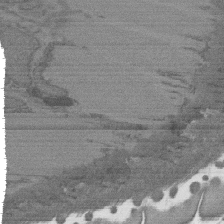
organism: C. elegans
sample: AFD neurons C. elegans